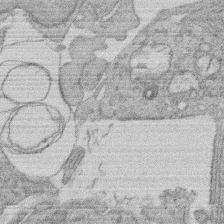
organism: Rat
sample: Salivary granule